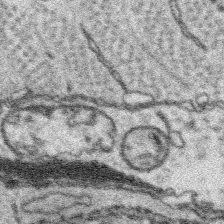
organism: Platynereis dumerilii